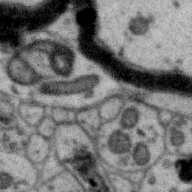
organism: Zebra finch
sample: Brain